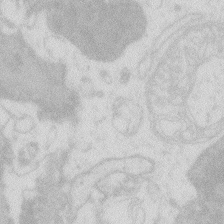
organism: Zebrafish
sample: Macrophage